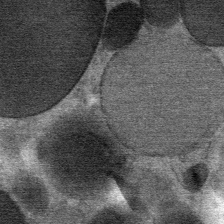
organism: Mouse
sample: Mouse Salivary gland